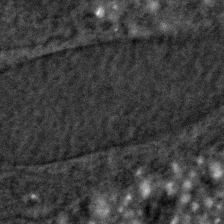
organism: C. elegans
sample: C. elegans embryo